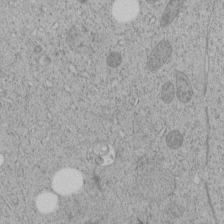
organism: C. elegans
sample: C. elegans embryo early stage